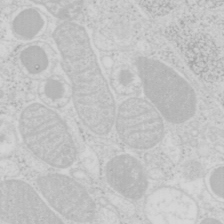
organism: Mouse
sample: Pancreas